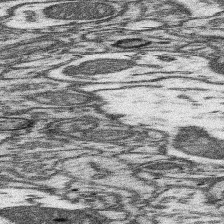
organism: Mouse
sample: Somatosensory cortex neuropil